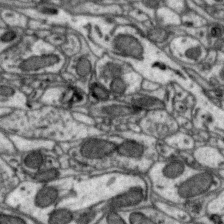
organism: Zebra finch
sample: Brain